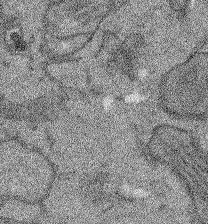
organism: Human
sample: HeLa cells